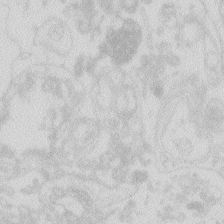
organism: Zebrafish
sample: Macrophage